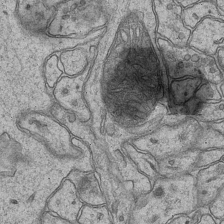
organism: Mouse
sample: CA1 Hippocampus